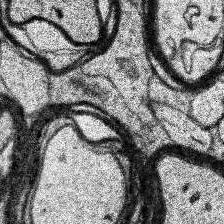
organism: Human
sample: Temporal Lobe